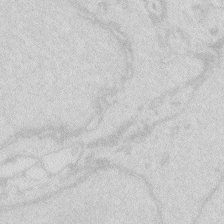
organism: Zebrafish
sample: Macrophage